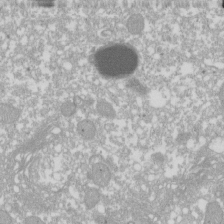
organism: Xenopus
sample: Cilia; centrioles in frog embryo cells